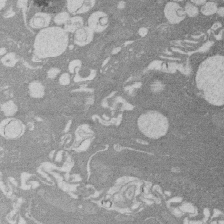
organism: Rat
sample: Salivary granule